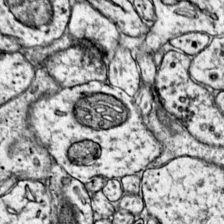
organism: Mouse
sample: Primary visual cortex